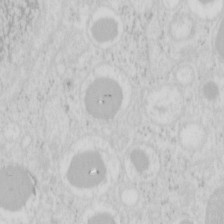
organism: Mouse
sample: Pancreas